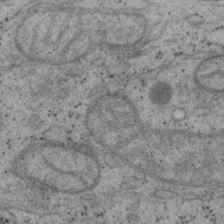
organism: Human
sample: HeLa cells